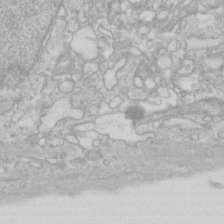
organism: Human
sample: Fibroblast cells